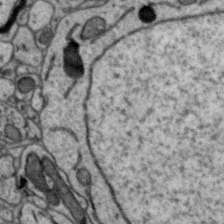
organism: Zebra finch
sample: Brain